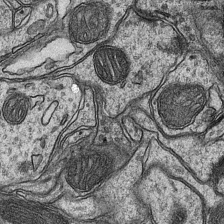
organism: Mouse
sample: CA1 Hippocampus